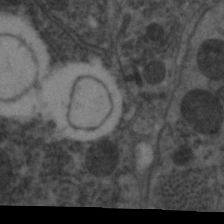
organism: C. elegans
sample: Pharynx